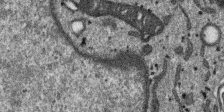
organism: Human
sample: Lung epithelial cells infected with SARS-CoV-2